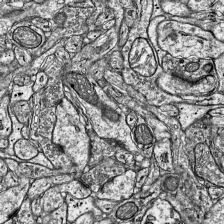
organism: Mouse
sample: Visual Cortex